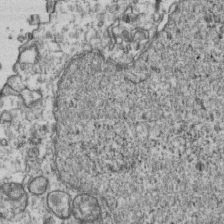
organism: Human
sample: Activated Jurkat CD4+ T cells